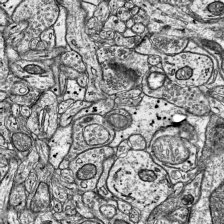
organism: Mouse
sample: Visual Cortex